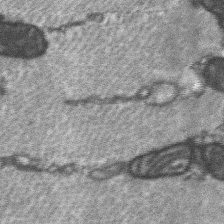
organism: C57BL Mouse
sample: Soleus